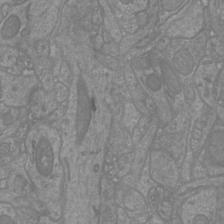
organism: Mouse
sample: Cortical neurons